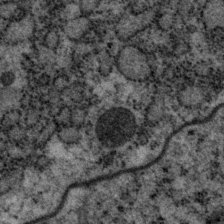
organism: P. pacificus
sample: Pharynx